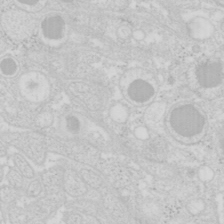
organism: Mouse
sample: Pancreas